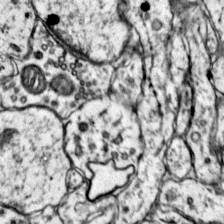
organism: Mouse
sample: Primary visual cortex